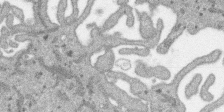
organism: Human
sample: Lung epithelial cells infected with SARS-CoV-2